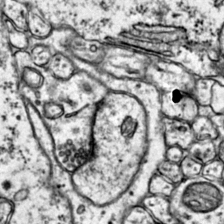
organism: Mouse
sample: Primary visual cortex